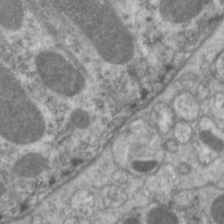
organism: C. elegans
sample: Pharynx